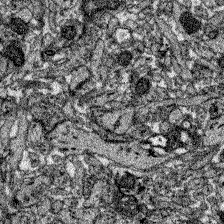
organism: Zebrafish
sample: Larval olfactory bulb